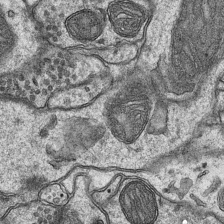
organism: Mouse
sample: CA1 Hippocampus